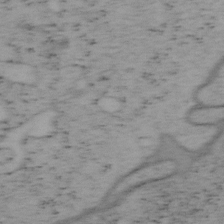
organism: Mouse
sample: OT-I killer T cells with ID8 ovarian cancer cells